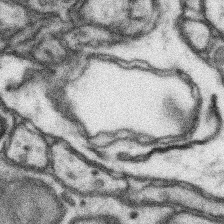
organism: Mouse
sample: Somatosensory cortex neuropil